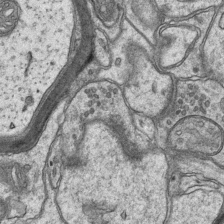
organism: Mouse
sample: CA1 Hippocampus